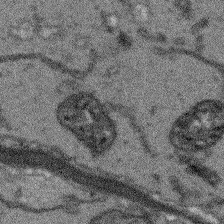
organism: Arabidopsis thaliana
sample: Root tip